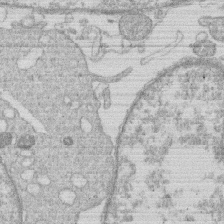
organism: Human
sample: Macrophage cells